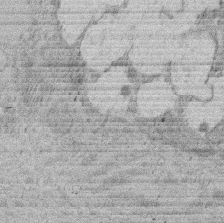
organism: Rat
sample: Salivary granule